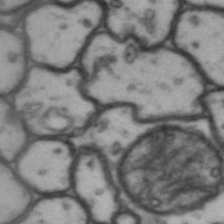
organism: Drosophila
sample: Brain